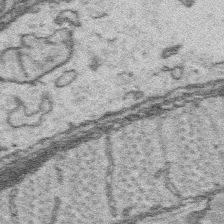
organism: Platynereis dumerilii